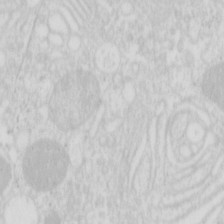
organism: Mouse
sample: Pancreas